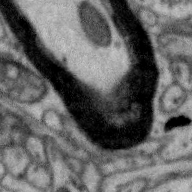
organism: Zebra finch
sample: Brain